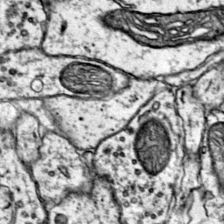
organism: Mouse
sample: Primary visual cortex